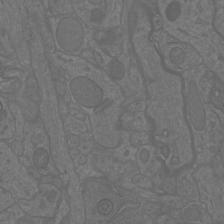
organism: Mouse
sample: Cortical neurons